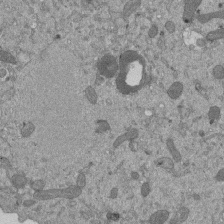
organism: Mouse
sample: ED-1 cell nuclei; centrioles